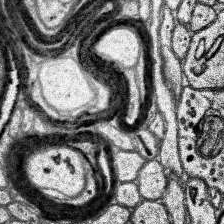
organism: Human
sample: Temporal Lobe